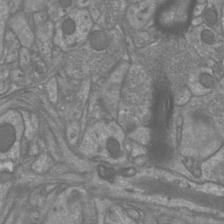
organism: Mouse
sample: Cortical neurons